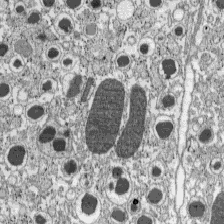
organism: C57BL Mouse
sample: Pancreatic islet